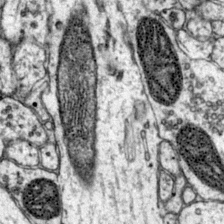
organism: Mouse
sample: Primary visual cortex